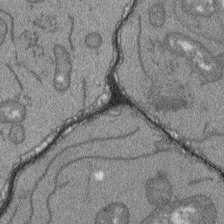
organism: Arabidopsis thaliana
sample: Root tip